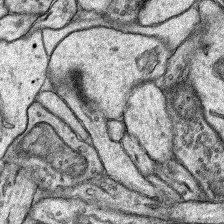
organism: Rat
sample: Hippocampus